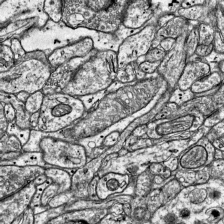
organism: Mouse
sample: Visual Cortex